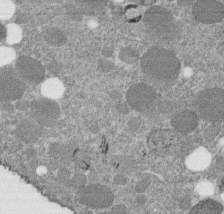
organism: C. elegans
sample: C. elegans embryo early stage